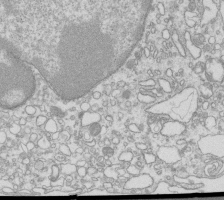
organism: Mouse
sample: Macrophages